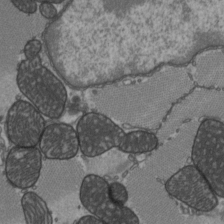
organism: C57BL Mouse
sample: Heart